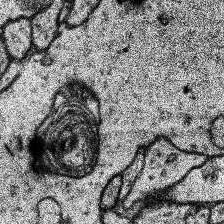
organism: Human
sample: Temporal Lobe